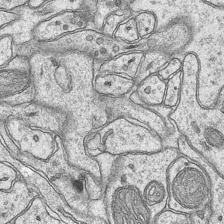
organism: Mouse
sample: CA1 Hippocampus